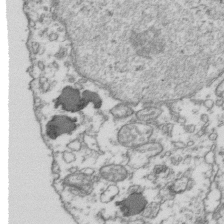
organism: Human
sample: Activated Jurkat CD4+ T cells